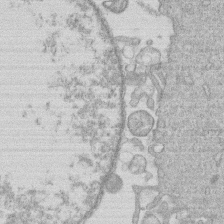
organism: Human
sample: Macrophage cells